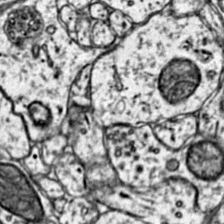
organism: Mouse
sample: Primary visual cortex